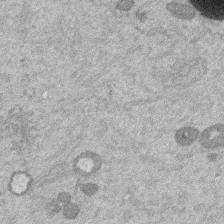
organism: Mouse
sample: Dividing mouse embryo 1 cell stage